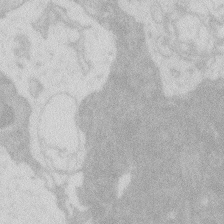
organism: Zebrafish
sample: Macrophage